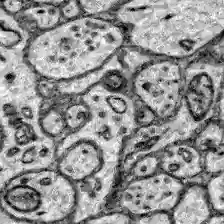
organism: Zebrafish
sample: Brain